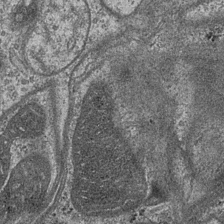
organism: Drosophila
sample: Optic medulla